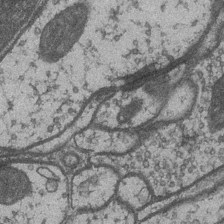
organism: Drosophila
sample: Optic medulla